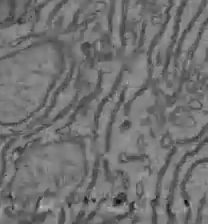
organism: C57BL Mouse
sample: Liver